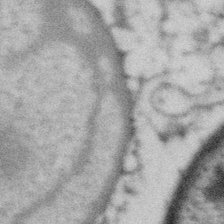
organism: Gemmata obscuriglobus